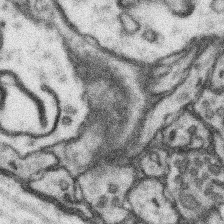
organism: Mouse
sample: Somatosensory cortex neuropil